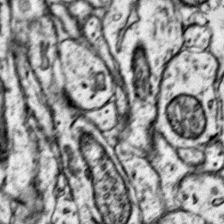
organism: Mouse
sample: Primary visual cortex